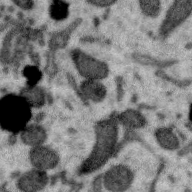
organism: Zebra finch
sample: Brain